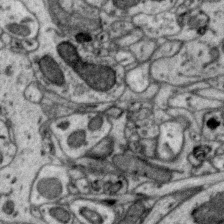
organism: Zebra finch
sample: Brain